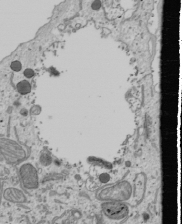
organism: Human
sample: Mitochondria in U2OS cells